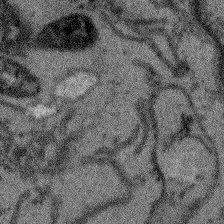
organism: Arabidopsis thaliana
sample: Root tip